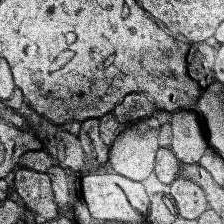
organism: Human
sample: Temporal Lobe